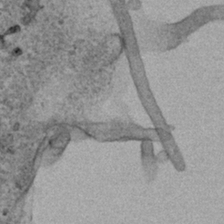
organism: Human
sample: Mitochondria in HCT116 cells